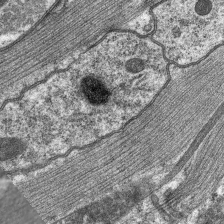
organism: C. elegans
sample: Pharynx